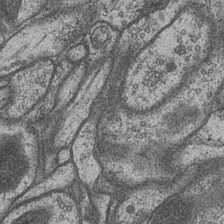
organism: Drosophila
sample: Optic medulla